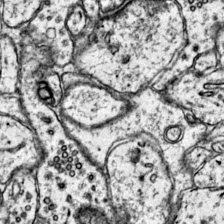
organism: Mouse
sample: Primary visual cortex